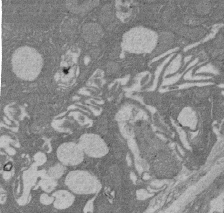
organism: Rat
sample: Salivary granule